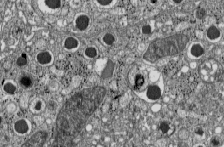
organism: C57BL Mouse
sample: Pancreatic islet